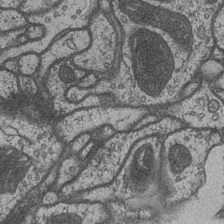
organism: Drosophila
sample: Optic medulla